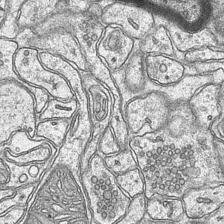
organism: Mouse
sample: CA1 Hippocampus